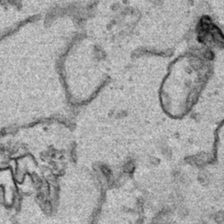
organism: Human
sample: Mitochondria in HCT116 cells